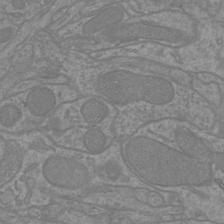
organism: Mouse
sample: Cortical neurons